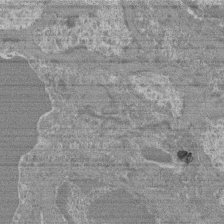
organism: Mouse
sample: Glomerulus